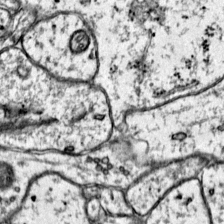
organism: Mouse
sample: Primary visual cortex